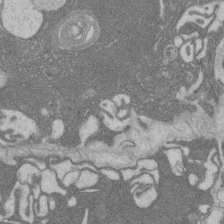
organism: Rat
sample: Salivary granule